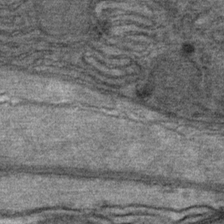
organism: Mouse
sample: Mouse Salivary gland